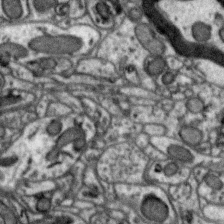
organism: Zebra finch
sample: Brain